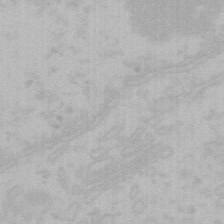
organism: Mouse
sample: Choroid plexus